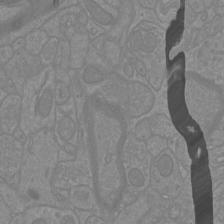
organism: Mouse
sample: Cortical neurons